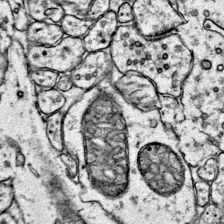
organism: Mouse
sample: Primary visual cortex